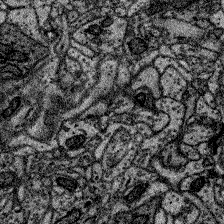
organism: Zebrafish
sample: Larval olfactory bulb